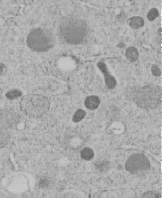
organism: C. elegans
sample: C. elegans embryo early stage